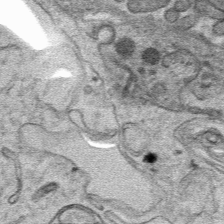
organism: Mouse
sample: Mouse hepatocytes